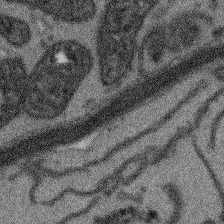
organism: Arabidopsis thaliana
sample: Root tip